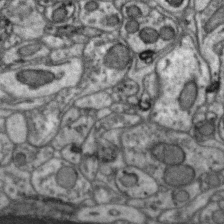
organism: Zebra finch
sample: Brain